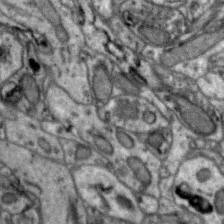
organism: Zebra finch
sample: Brain